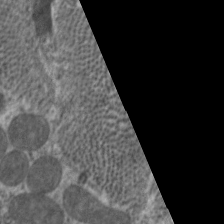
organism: C. elegans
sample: Pharynx